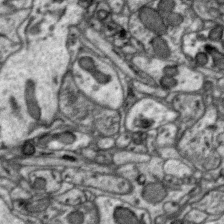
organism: Zebra finch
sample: Brain